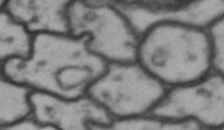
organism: Drosophila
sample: Brain